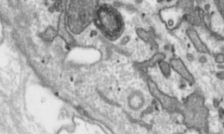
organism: Toxoplasma gondii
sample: Parasites in a vacuole inside a host cell